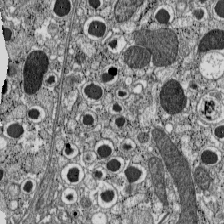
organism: C57BL Mouse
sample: Pancreatic islet